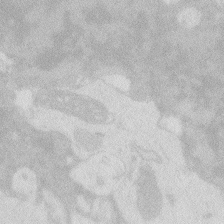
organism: Zebrafish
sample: Macrophage